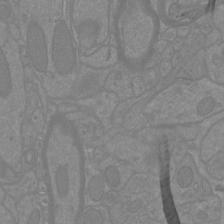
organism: Mouse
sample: Cortical neurons